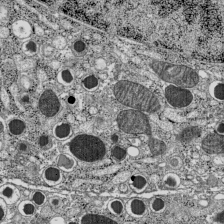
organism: C57BL Mouse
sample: Pancreatic islet